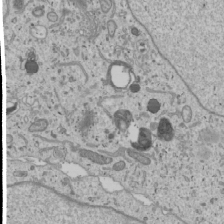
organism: Human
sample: Mitochondria in U2OS cells